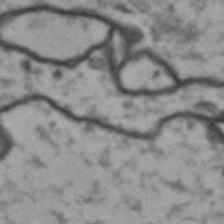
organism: Drosophila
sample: Brain